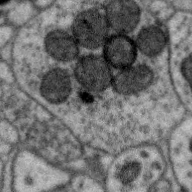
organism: Zebra finch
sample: Brain